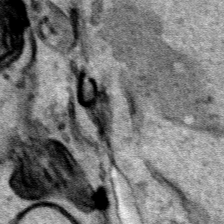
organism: Human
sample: Mitochondria in HCT116 cells